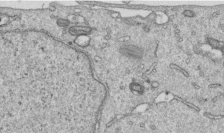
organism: Human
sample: Centriole in RPE cells